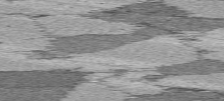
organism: C57BL Mouse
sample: Heart